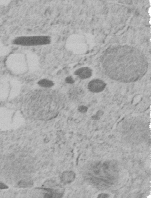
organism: C. elegans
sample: C. elegans embryo early stage